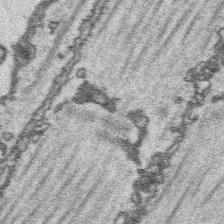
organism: Platynereis dumerilii